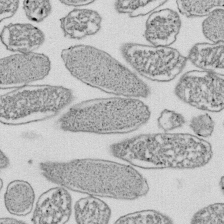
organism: E. coli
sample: Bacterial nucleoid